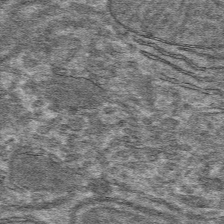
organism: Mouse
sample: Mouse hepatocytes